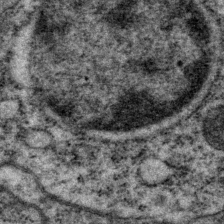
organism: P. pacificus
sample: Pharynx